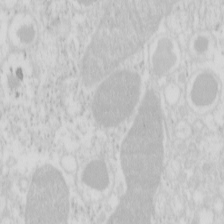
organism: Mouse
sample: Pancreas